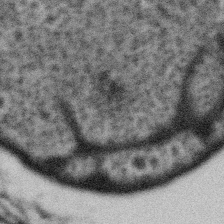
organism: Gemmata obscuriglobus